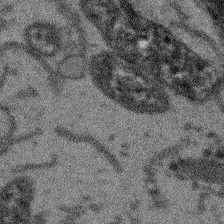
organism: Arabidopsis thaliana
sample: Root tip